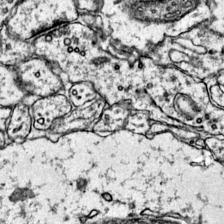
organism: Mouse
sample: Primary visual cortex